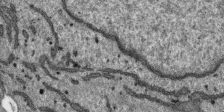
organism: Human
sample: Lung epithelial cells, uninfected (mock) control